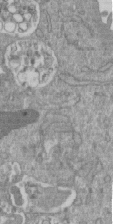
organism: Mouse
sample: ED-1 cell nuclei; centrioles